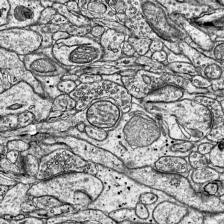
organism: Mouse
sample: Visual Cortex